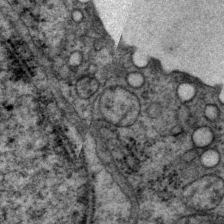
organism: P. pacificus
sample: Pharynx